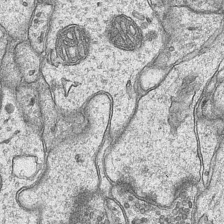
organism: Mouse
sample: CA1 Hippocampus